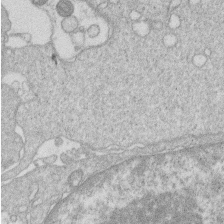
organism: Human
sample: Macrophage cells